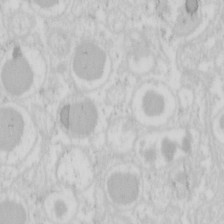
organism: Mouse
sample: Pancreas